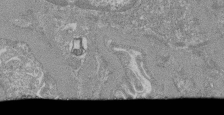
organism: Mouse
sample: Glomerulus